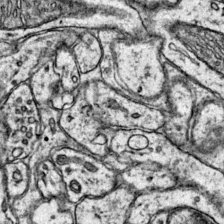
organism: Mouse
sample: Primary visual cortex